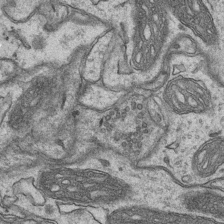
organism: Mouse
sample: CA1 Hippocampus